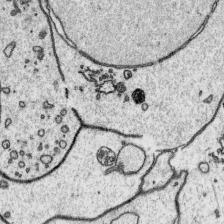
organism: Platynereis dumerilii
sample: Parapodia